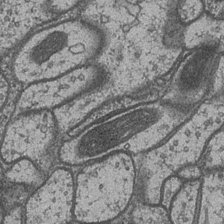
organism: Drosophila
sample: Optic medulla